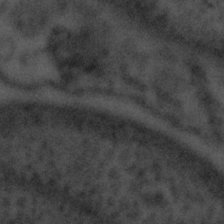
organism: Tuwongella immobilis